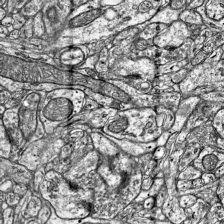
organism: Mouse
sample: Visual Cortex